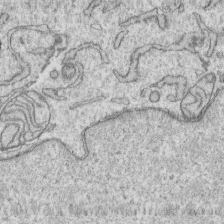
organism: Human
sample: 1205lu cells